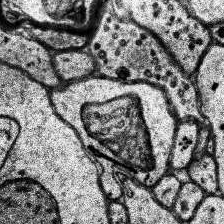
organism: Human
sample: Temporal Lobe